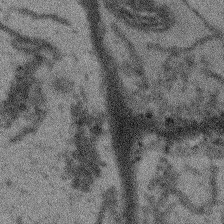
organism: Arabidopsis thaliana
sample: Root tip